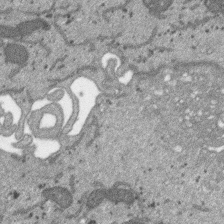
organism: Human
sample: Lung epithelial cells infected with SARS-CoV-2